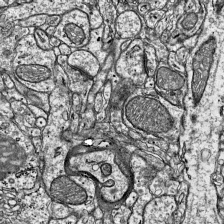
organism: Mouse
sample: Visual Cortex